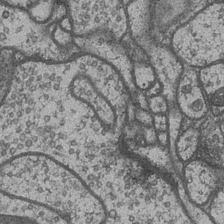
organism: Drosophila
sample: Optic medulla